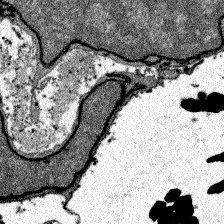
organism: Zebrafish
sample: Larval olfactory bulb